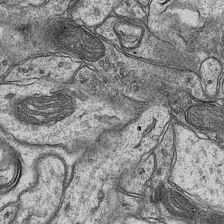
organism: Mouse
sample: CA1 Hippocampus